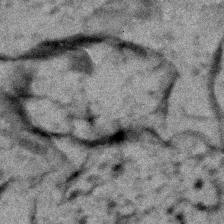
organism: Zebrafish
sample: Zebrafish embryo